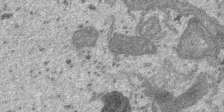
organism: Human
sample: Lung epithelial cells infected with SARS-CoV-2